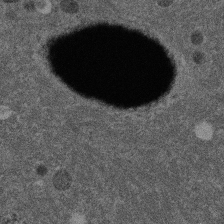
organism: Mouse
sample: Dividing mouse embryo 1 cell stage